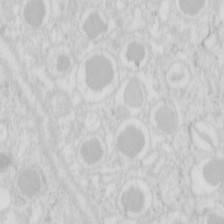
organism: Mouse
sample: Pancreas